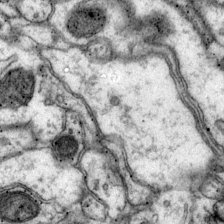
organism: Mouse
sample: Primary visual cortex